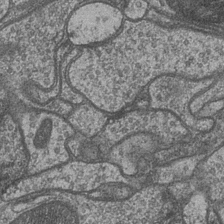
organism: Drosophila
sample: Optic medulla